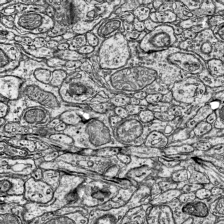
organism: Mouse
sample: Visual Cortex